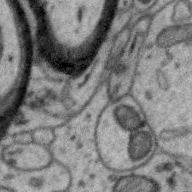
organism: Zebra finch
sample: Brain